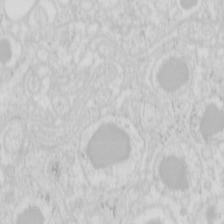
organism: Mouse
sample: Pancreas